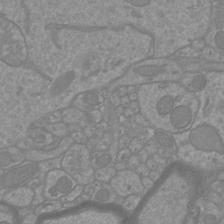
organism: Mouse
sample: Cortical neurons